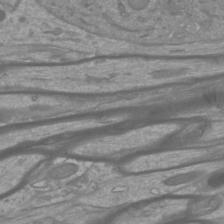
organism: Mouse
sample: Cortical neurons